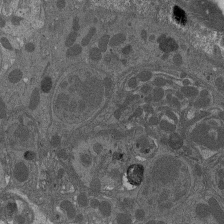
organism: Drosophila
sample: Antenna